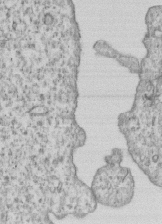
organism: Human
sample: MDA-MB-231 cells